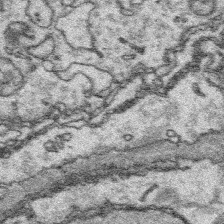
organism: Platynereis dumerilii